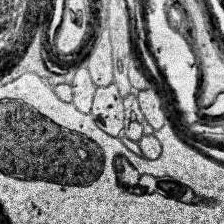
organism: Human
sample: Temporal Lobe